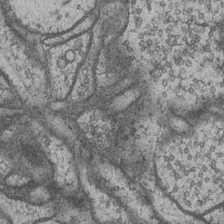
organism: Drosophila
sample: Optic medulla